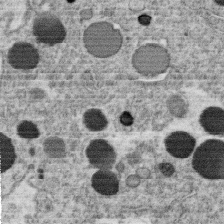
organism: C. elegans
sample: C. elegans oocyte; sperm cells